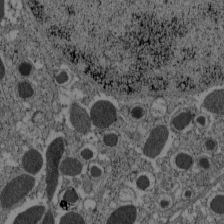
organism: C57BL Mouse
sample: Pancreatic islet